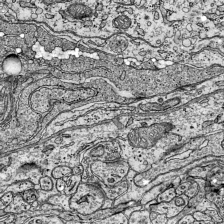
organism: Mouse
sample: Visual Cortex